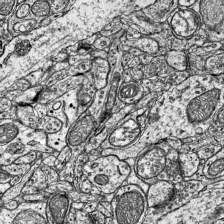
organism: Mouse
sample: Visual Cortex